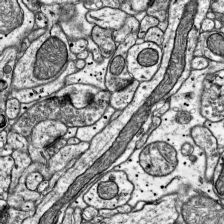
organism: Mouse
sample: Visual Cortex